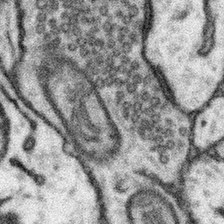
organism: Mouse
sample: Somatosensory cortex neuropil